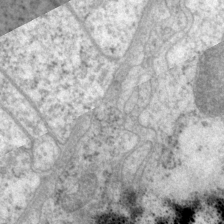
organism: P. pacificus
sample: Pharynx